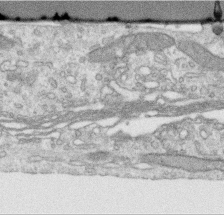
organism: Human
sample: Centriole in RPE cells